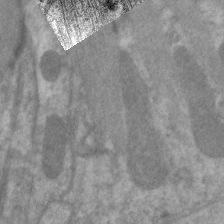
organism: C. elegans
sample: Pharynx